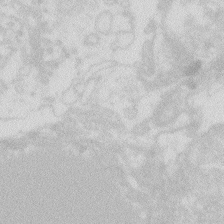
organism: Zebrafish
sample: Macrophage